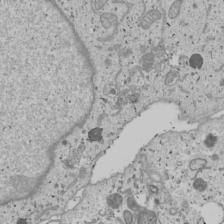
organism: Human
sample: Mitochondria in U2OS cells